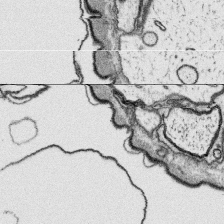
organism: Platynereis dumerilii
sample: Parapodia